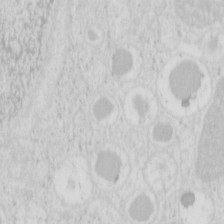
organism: Mouse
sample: Pancreas